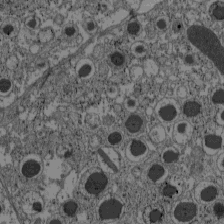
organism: C57BL Mouse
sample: Pancreatic islet